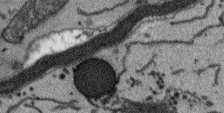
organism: Arabidopsis thaliana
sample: Root tip